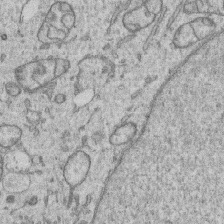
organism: Human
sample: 1205lu cells